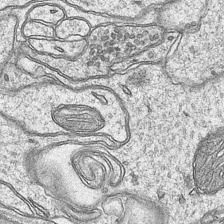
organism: Mouse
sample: CA1 Hippocampus